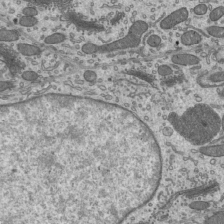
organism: Mouse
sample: Mouse epididymis efferent ductule cilia